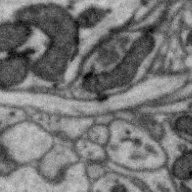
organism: Zebra finch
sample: Brain